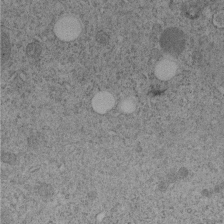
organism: C. elegans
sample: C. elegans embryo early stage